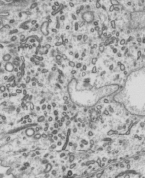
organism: Mouse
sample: Mouse epididymis efferent ductule cilia